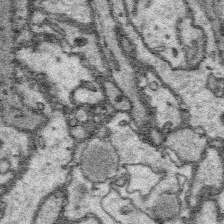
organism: Platynereis dumerilii